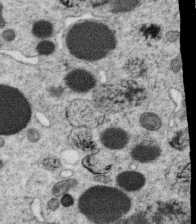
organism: C. elegans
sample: C. elegans oocyte; sperm cells